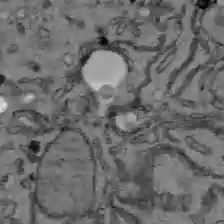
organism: C57BL Mouse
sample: Liver